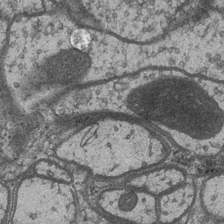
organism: Drosophila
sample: Optic medulla